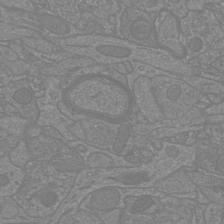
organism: Mouse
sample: Cortical neurons